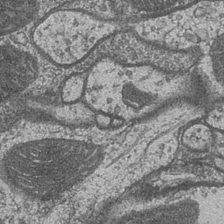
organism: Drosophila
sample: Optic medulla